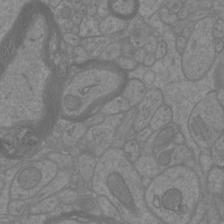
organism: Mouse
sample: Cortical neurons